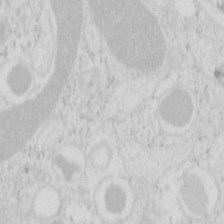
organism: Mouse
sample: Pancreas